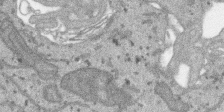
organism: Human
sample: Lung epithelial cells infected with SARS-CoV-2